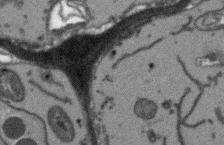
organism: Arabidopsis thaliana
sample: Root tip